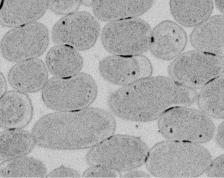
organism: E. coli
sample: Bacterial nucleoid